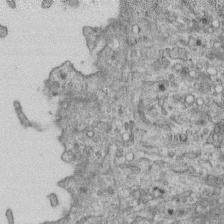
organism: Mouse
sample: Centriole in ependymal cells